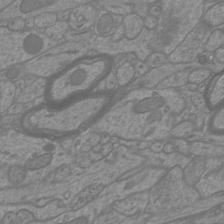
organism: Mouse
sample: Cortical neurons